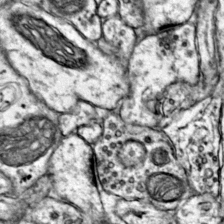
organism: Mouse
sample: Primary visual cortex